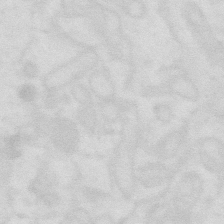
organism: Human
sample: HeLa cells